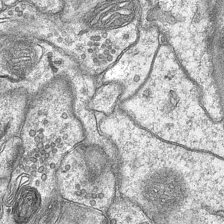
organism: Mouse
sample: CA1 Hippocampus